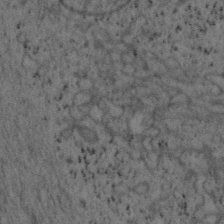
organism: Human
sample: HeLa cells